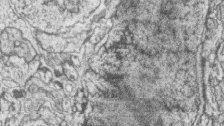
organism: Zebrafish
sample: synaptic ribbons in rod cells and cone cells